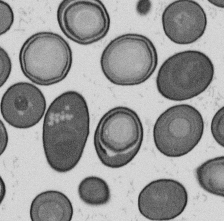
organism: B. subtilis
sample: Bacterial spore